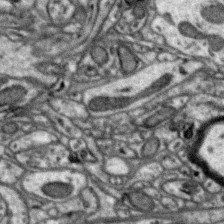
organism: Zebra finch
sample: Brain